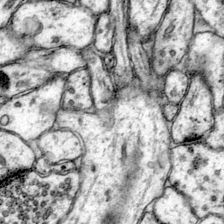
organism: Mouse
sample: Primary visual cortex